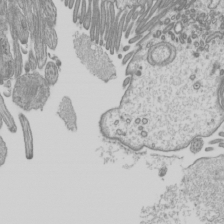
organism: Mouse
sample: Cilia; mouse epididymis